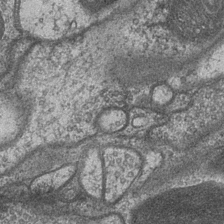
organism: Drosophila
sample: Optic medulla